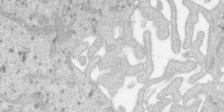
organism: Human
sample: Lung epithelial cells infected with SARS-CoV-2